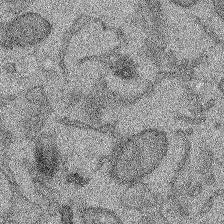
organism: Human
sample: HeLa cells